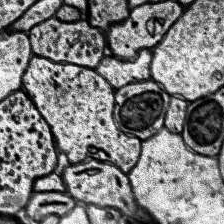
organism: Human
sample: Temporal Lobe